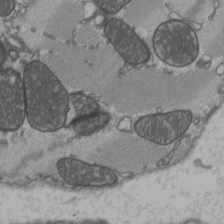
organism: C57BL Mouse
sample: Heart